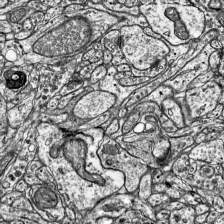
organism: Mouse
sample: Visual Cortex